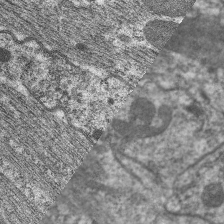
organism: C. elegans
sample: Pharynx